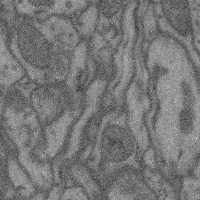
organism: Mouse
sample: Cerebral cortex